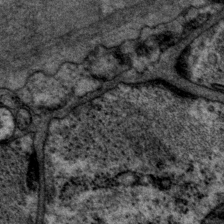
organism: P. pacificus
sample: Pharynx